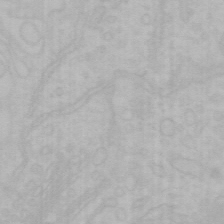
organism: Mouse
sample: Choroid plexus